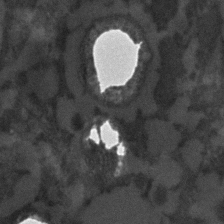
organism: C. elegans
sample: C. elegans embryo